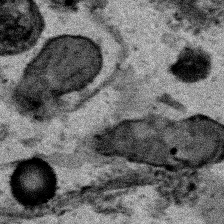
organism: Human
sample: Mitochondria in HCT116 cells